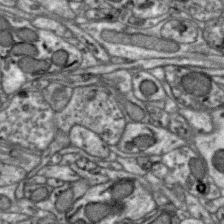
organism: Zebra finch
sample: Brain